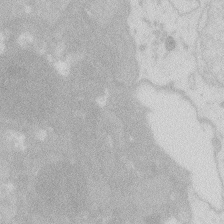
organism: Zebrafish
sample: Macrophage